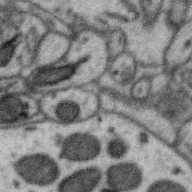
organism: Zebra finch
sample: Brain